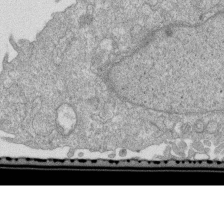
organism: Human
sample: HeLa cell HIV synapse